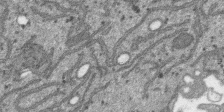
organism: Human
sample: Lung epithelial cells infected with SARS-CoV-2